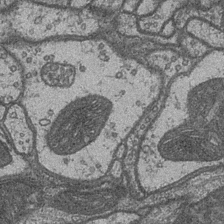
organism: Drosophila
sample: Optic medulla